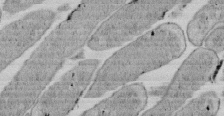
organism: E. coli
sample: Bacterial nucleoid